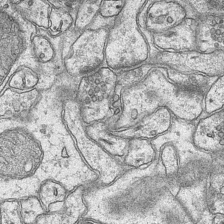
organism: Mouse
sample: CA1 Hippocampus